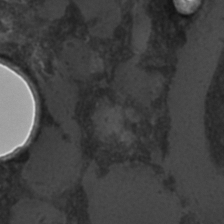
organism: C. elegans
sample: C. elegans embryo